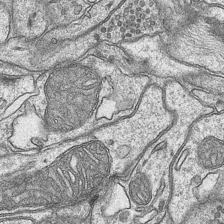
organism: Mouse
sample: CA1 Hippocampus